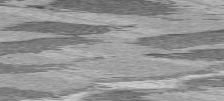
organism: C57BL Mouse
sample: Heart